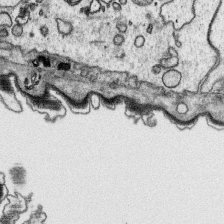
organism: Platynereis dumerilii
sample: Parapodia